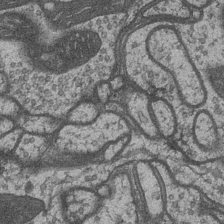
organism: Drosophila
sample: Optic medulla